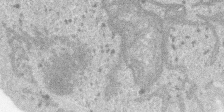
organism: Human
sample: Lung epithelial cells infected with SARS-CoV-2